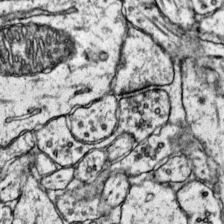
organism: Mouse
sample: Primary visual cortex